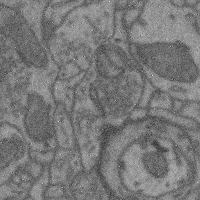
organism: Mouse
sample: Cerebral cortex